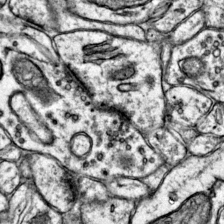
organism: Mouse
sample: Primary visual cortex